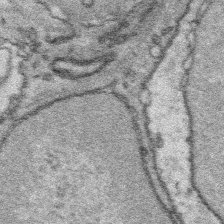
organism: Platynereis dumerilii